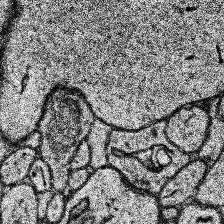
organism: Human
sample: Temporal Lobe